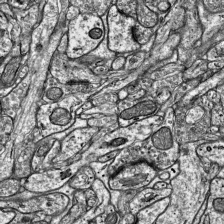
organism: Mouse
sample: Visual Cortex